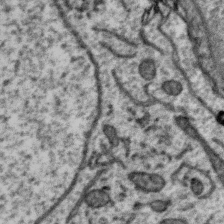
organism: Zebra finch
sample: Brain